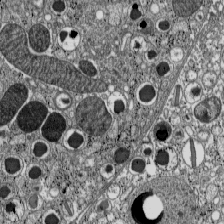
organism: C57BL Mouse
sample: Pancreatic islet